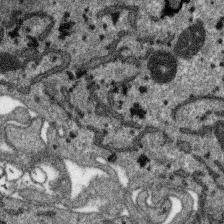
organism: Human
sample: Lung epithelial cells infected with SARS-CoV-2